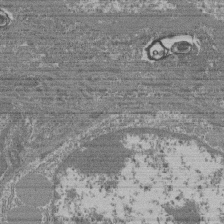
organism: Mouse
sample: Glomerulus